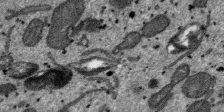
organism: Human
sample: Lung epithelial cells, uninfected (mock) control